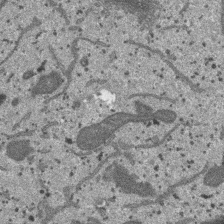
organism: Human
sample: Lung epithelial cells infected with SARS-CoV-2